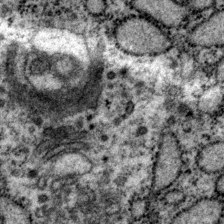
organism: P. pacificus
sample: Pharynx